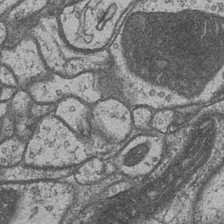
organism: Drosophila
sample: Optic medulla